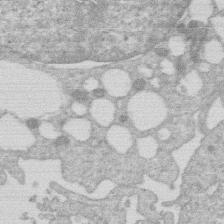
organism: Human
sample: Macrophage cells